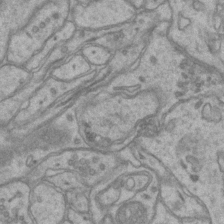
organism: Mouse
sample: CA1 Hippocampus